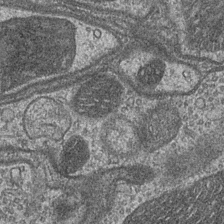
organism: Drosophila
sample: Optic medulla